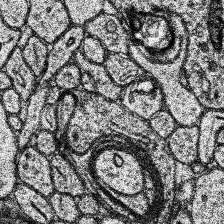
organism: Human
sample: Temporal Lobe